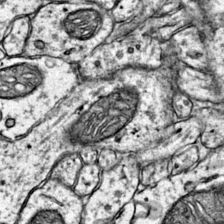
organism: Mouse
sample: Primary visual cortex